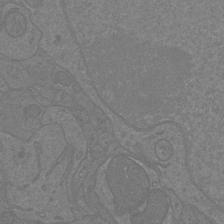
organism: Mouse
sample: Cortical neurons